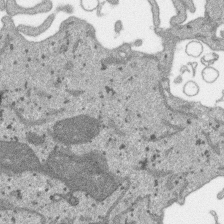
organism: Human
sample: Lung epithelial cells infected with SARS-CoV-2